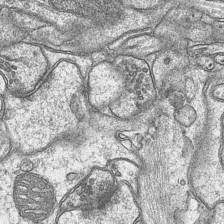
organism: Mouse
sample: CA1 Hippocampus